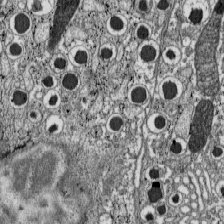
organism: C57BL Mouse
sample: Pancreatic islet